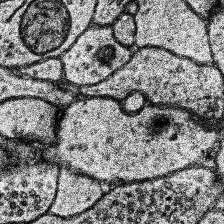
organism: Human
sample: Temporal Lobe